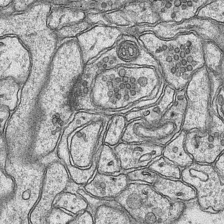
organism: Mouse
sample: CA1 Hippocampus